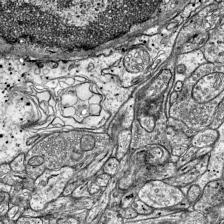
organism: Mouse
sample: Visual Cortex